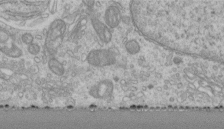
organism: Human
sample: Centriole in RPE cells